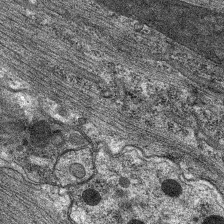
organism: C. elegans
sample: Pharynx